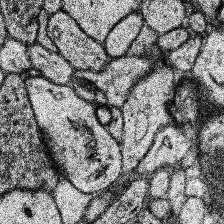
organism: Human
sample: Temporal Lobe